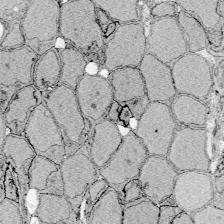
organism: Zebrafish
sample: Whole-Brain